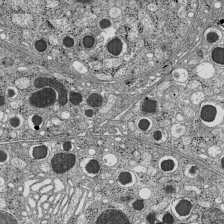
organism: C57BL Mouse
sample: Pancreatic islet